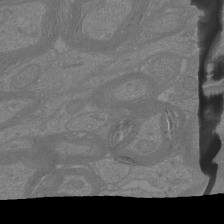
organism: Mouse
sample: Cortical neurons